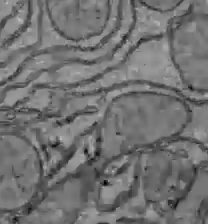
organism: C57BL Mouse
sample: Liver